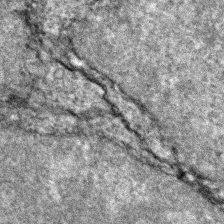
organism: Zebrafish